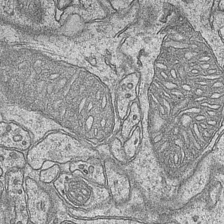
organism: Mouse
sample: CA1 Hippocampus